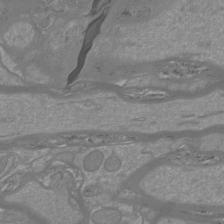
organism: Mouse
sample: Cortical neurons